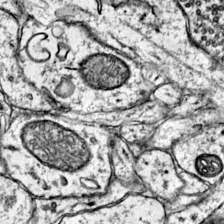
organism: Mouse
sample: Primary visual cortex